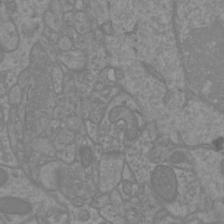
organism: Mouse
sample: Cortical neurons